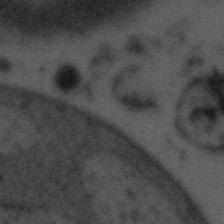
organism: Tuwongella immobilis